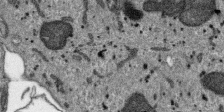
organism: Human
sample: Lung epithelial cells, uninfected (mock) control